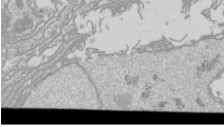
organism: Drosophila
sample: Cell division; meiosis; drosophila spermatocytes